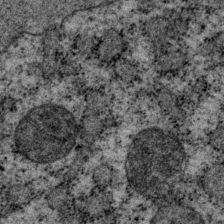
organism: P. pacificus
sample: Pharynx